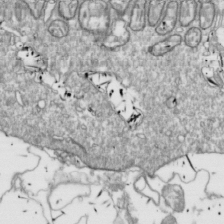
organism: Drosophila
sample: Cell division; meiosis; drosophila spermatocytes